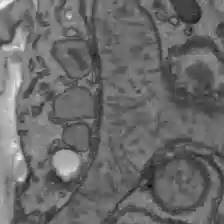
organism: C57BL Mouse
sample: Liver